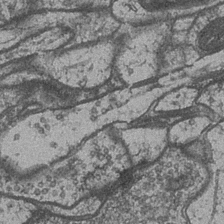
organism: Drosophila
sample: Optic medulla